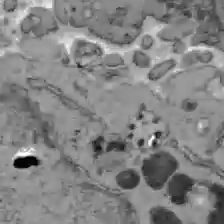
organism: C57BL Mouse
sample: Liver